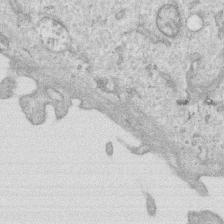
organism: Human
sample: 1205lu cells